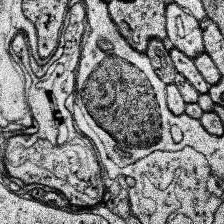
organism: Human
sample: Temporal Lobe